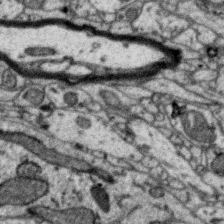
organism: Zebra finch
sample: Brain